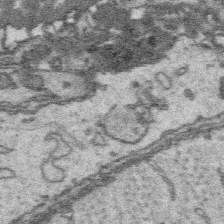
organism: Platynereis dumerilii